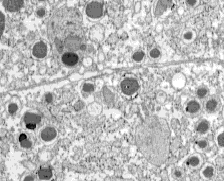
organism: C57BL Mouse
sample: Pancreatic islet